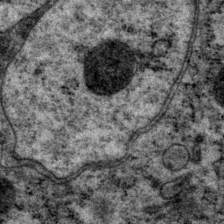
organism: P. pacificus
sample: Pharynx